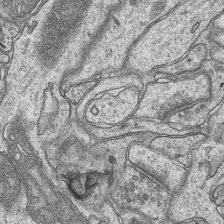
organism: Mouse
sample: CA1 Hippocampus